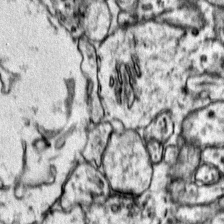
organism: Mouse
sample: Primary visual cortex